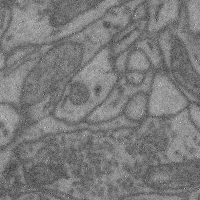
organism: Mouse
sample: Cerebral cortex